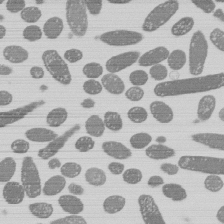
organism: E. coli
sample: Bacterial nucleoid